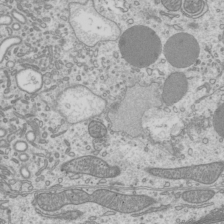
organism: Mouse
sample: Cilia; mouse epididymis